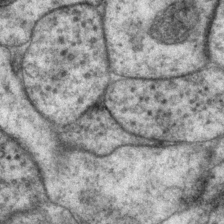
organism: P. pacificus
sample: Pharynx